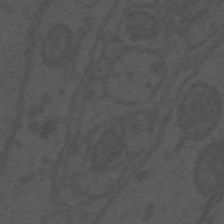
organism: Mouse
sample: Suprachiasmatic nucleus